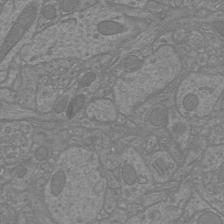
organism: Mouse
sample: Cortical neurons